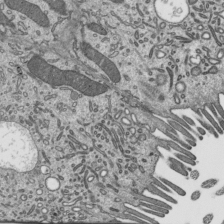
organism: Mouse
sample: Mouse epididymis efferent ductule cilia